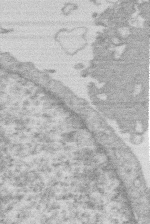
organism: Human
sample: Macrophage cells